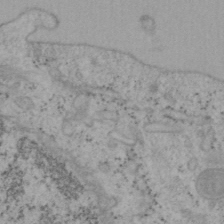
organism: Human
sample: HeLa cells